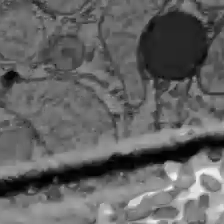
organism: C57BL Mouse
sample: Liver